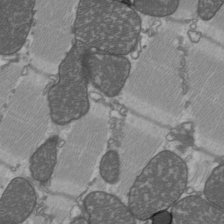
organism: C57BL Mouse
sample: Heart